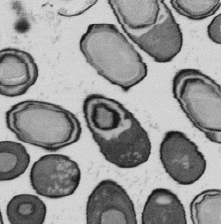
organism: B. subtilis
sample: Bacterial spore